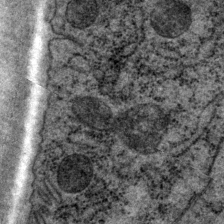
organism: P. pacificus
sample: Pharynx